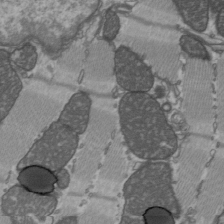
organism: C57BL Mouse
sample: Heart